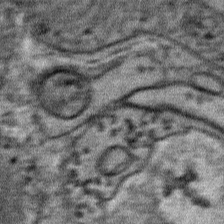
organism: Mouse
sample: Mouse Salivary gland